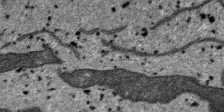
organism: Human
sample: Lung epithelial cells, uninfected (mock) control